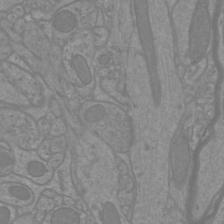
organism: Mouse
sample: Cortical neurons